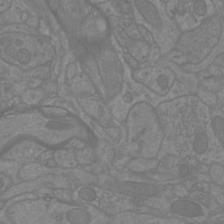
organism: Mouse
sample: Cortical neurons